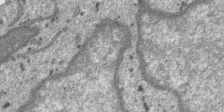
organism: Human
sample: Lung epithelial cells infected with SARS-CoV-2